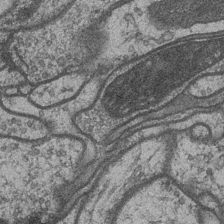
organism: Drosophila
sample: Optic medulla